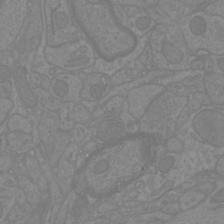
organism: Mouse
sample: Cortical neurons